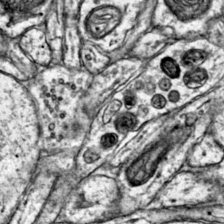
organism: Mouse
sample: Primary visual cortex